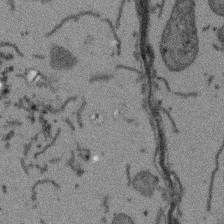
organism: Arabidopsis thaliana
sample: Root tip